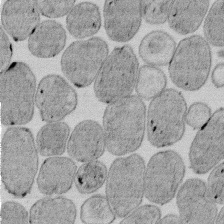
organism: E. coli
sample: Bacterial nucleoid